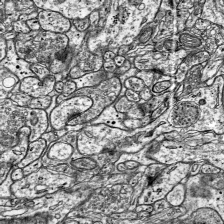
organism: Mouse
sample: Visual Cortex